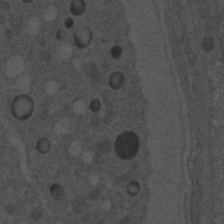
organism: C. elegans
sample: C. elegans embryo